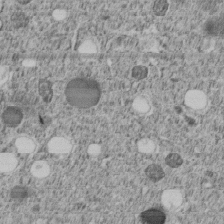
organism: C. elegans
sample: C. elegans embryo early stage